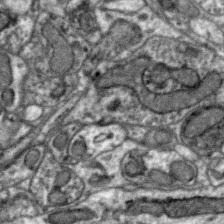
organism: Zebra finch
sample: Brain